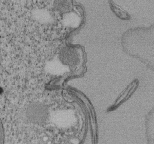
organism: Tetrahymena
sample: Cilia in tetrahymena